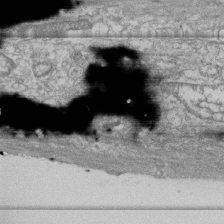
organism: Human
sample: Fibroblast cells